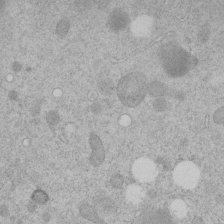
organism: C. elegans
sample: C. elegans embryo early stage